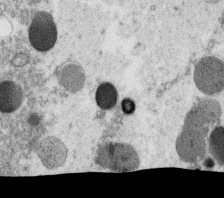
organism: C. elegans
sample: C. elegans oocyte; sperm cells